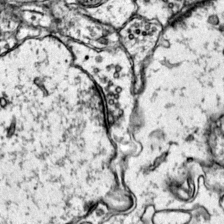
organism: Mouse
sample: Primary visual cortex